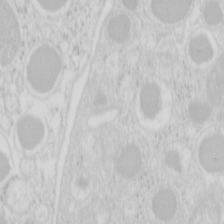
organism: Mouse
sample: Pancreas